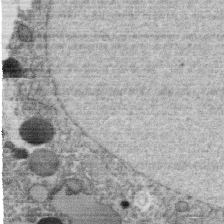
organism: C. elegans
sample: C. elegans oocyte; sperm cells